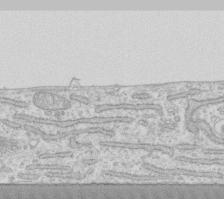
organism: Human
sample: Fibroblast cells